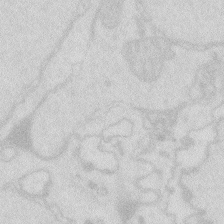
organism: Zebrafish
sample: Macrophage